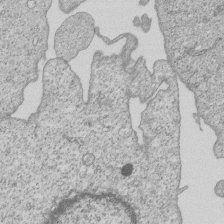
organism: Human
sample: MDA-MB-231 cells